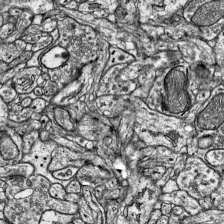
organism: Mouse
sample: Visual Cortex